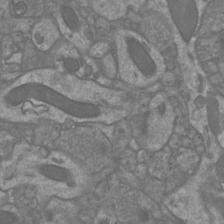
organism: Mouse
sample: Cortical neurons